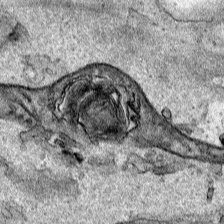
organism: Human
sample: Mitochondria in HCT116 cells